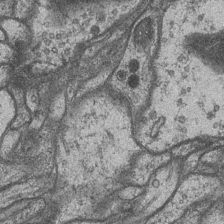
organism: Drosophila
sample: Optic medulla